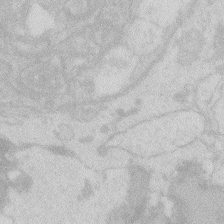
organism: Zebrafish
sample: Macrophage